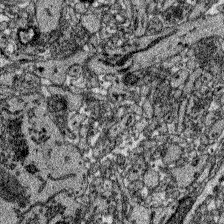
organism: Zebrafish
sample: Larval olfactory bulb